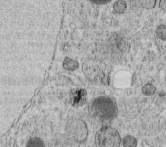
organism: C. elegans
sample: C. elegans embryo early stage